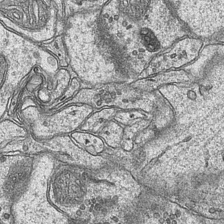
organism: Mouse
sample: CA1 Hippocampus